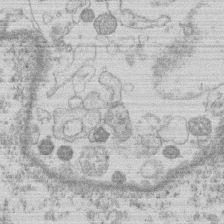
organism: Human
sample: Macrophage cells